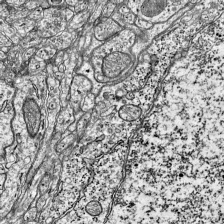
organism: Mouse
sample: Visual Cortex